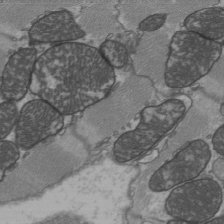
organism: C57BL Mouse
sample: Heart